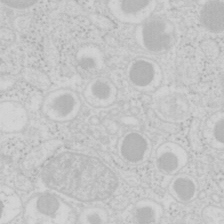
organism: Mouse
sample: Pancreas